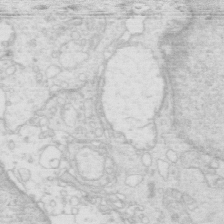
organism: Mouse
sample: Multiciliated cells